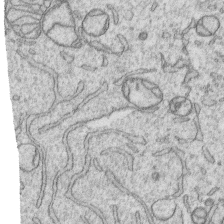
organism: Human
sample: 1205lu cells